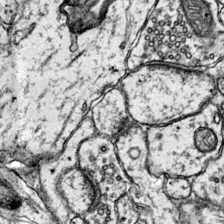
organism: Mouse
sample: Primary visual cortex